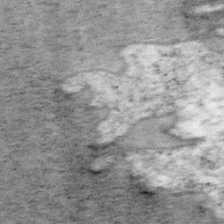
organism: Mouse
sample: OT-I killer T cells with ID8 ovarian cancer cells